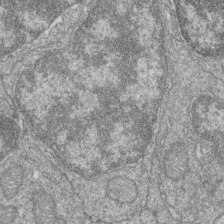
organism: Zebrafish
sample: Cilia; retinal pigment epithelium